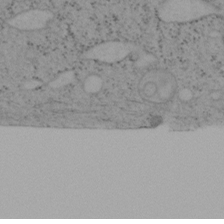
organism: Mouse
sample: OT-I killer T cells with ID8 ovarian cancer cells